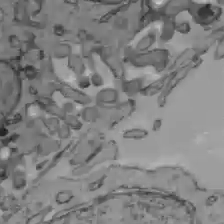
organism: C57BL Mouse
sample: Liver